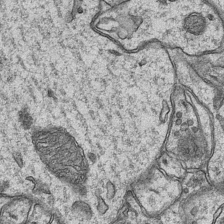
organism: Mouse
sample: CA1 Hippocampus